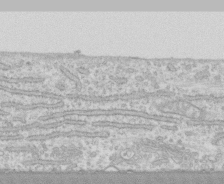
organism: Human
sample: CRL-1474